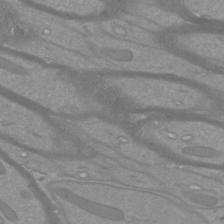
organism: Mouse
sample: Cortical neurons